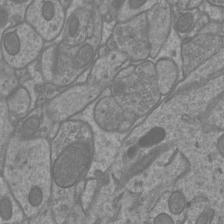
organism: Mouse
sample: Cortical neurons